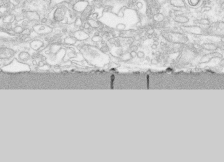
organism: Human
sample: CRL-1474